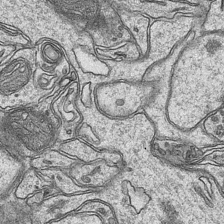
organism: Mouse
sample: CA1 Hippocampus